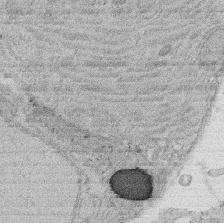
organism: Rat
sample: Salivary granule